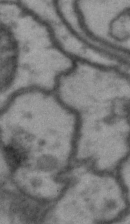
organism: Drosophila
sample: Brain